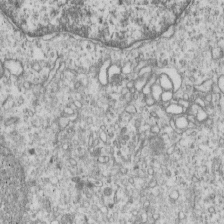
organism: Human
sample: MDA-MB-231 cells